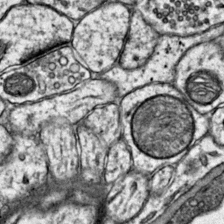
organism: Mouse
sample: Primary visual cortex